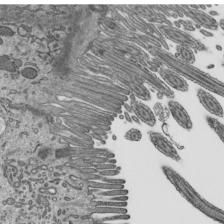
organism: Mouse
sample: Mouse epididymis efferent ductule cilia